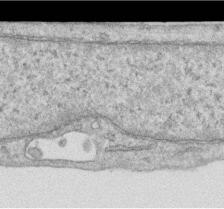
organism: Human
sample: Centriole in RPE cells